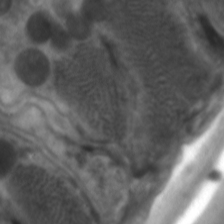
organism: C. elegans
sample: Pharynx